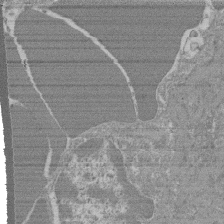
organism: Mouse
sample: Glomerulus